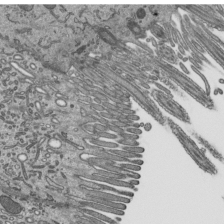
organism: Mouse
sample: Mouse epididymis efferent ductule cilia